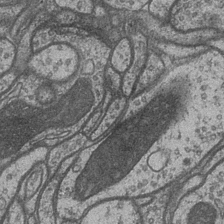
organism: Drosophila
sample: Optic medulla